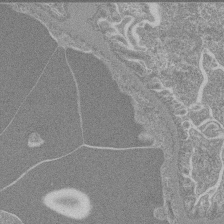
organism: Mouse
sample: Glomerulus